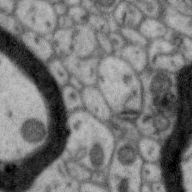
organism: Zebra finch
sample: Brain